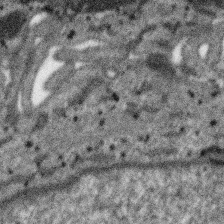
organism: Human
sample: Lung epithelial cells infected with SARS-CoV-2